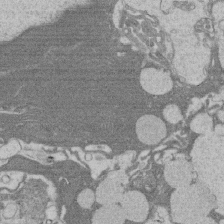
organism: Rat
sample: Salivary granule